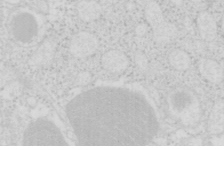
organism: Mouse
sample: Pancreas